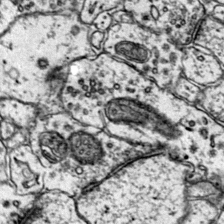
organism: Mouse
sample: Primary visual cortex